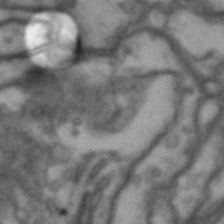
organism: Drosophila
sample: Brain